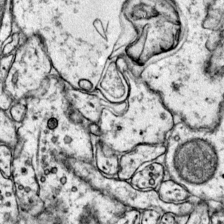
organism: Mouse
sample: Primary visual cortex